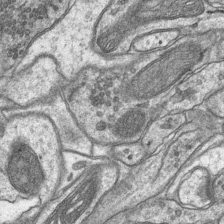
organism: Mouse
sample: CA1 Hippocampus